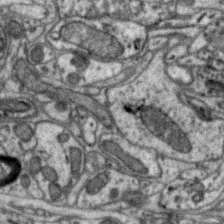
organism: Zebra finch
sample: Brain